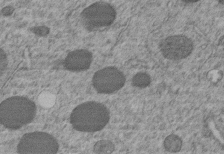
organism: C. elegans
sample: C. elegans embryo early stage